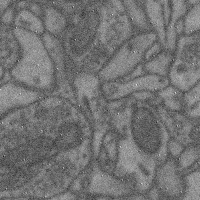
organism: Mouse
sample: Cerebral cortex